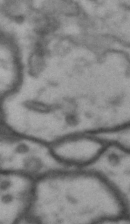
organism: Drosophila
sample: Brain